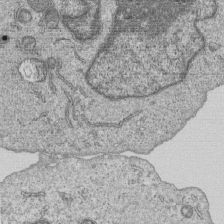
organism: Human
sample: MDA-MB-231 cells